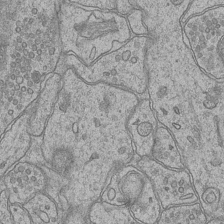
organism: Mouse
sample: CA1 Hippocampus